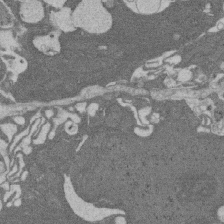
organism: Rat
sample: Salivary granule